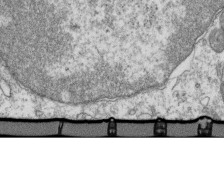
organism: Mouse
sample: Activated OT-1 CD8+ T cells